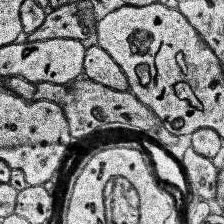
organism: Human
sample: Temporal Lobe